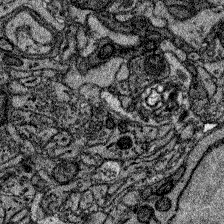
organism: Zebrafish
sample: Larval olfactory bulb